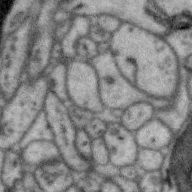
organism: Zebra finch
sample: Brain